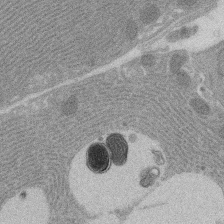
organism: Rat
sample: Salivary granule